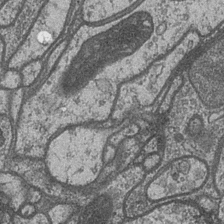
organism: Drosophila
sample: Optic medulla